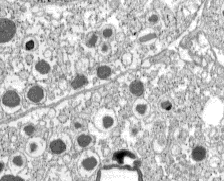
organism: C57BL Mouse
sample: Pancreatic islet